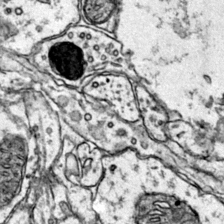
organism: Mouse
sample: Primary visual cortex